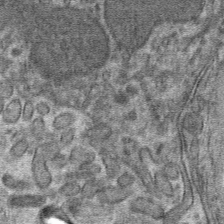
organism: Mouse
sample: Mouse hepatocytes